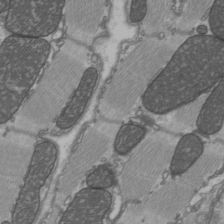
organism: C57BL Mouse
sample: Heart